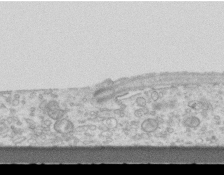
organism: Mouse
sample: Centriole in ependymal cells